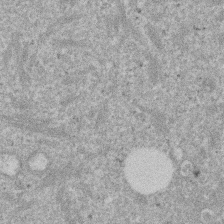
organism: Mouse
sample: Dividing mouse embryo 1 cell stage